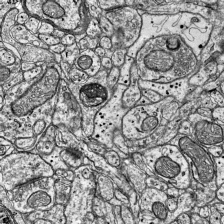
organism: Mouse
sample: Visual Cortex